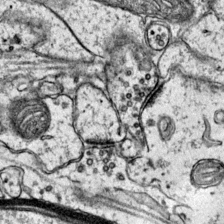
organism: Mouse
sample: Primary visual cortex